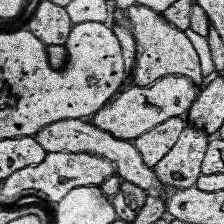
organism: Human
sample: Temporal Lobe